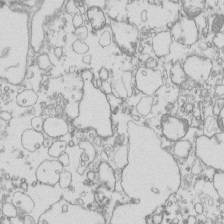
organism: Mouse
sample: Macrophages